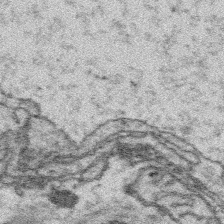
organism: Platynereis dumerilii